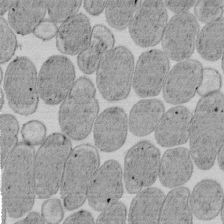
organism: E. coli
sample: Bacterial nucleoid